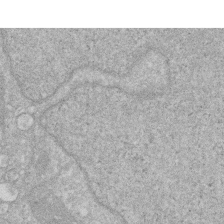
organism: Human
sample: HIV infected U937 cells